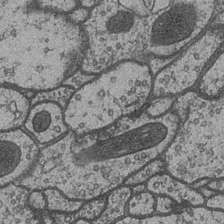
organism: Drosophila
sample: Optic medulla